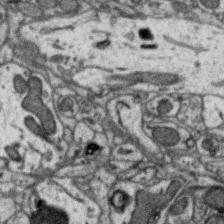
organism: Zebra finch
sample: Brain